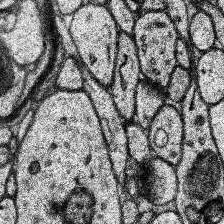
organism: Human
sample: Temporal Lobe